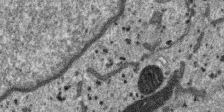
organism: Human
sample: Lung epithelial cells infected with SARS-CoV-2